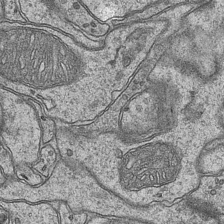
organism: Mouse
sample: CA1 Hippocampus